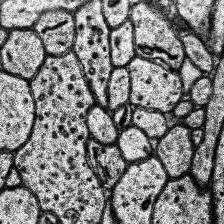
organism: Human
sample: Temporal Lobe